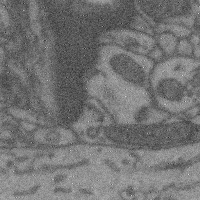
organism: Mouse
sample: Cerebral cortex